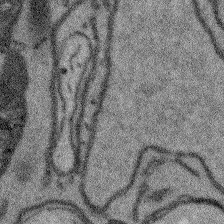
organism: Arabidopsis thaliana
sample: Root tip